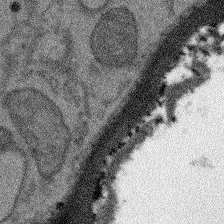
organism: Arabidopsis thaliana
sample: Root tip